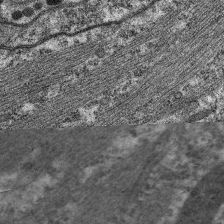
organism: C. elegans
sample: Pharynx